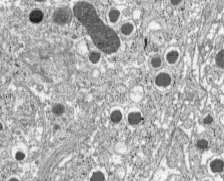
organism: C57BL Mouse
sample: Pancreatic islet